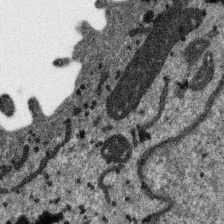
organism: Human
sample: Lung epithelial cells infected with SARS-CoV-2